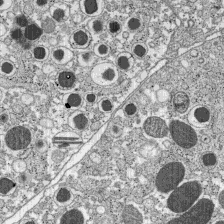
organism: C57BL Mouse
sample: Pancreatic islet